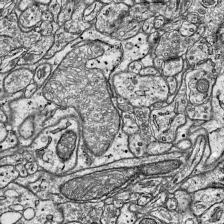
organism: Mouse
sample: Visual Cortex